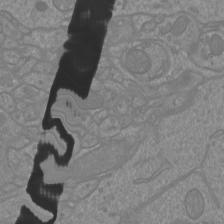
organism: Mouse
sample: Cortical neurons